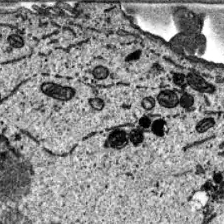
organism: Human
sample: HeLa cells